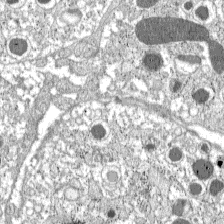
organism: C57BL Mouse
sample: Pancreatic islet